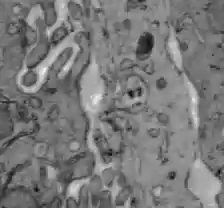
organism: C57BL Mouse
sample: Liver